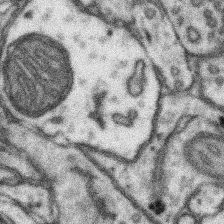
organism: Mouse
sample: Somatosensory cortex neuropil